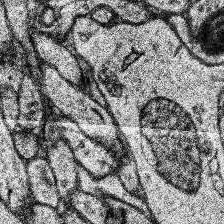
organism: Human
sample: Temporal Lobe